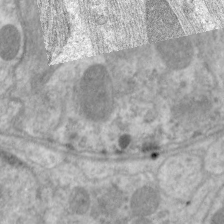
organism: C. elegans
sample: Pharynx